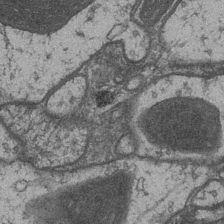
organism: Drosophila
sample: Optic medulla